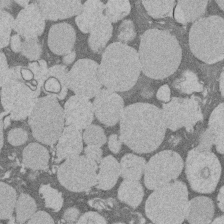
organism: Rat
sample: Salivary granule